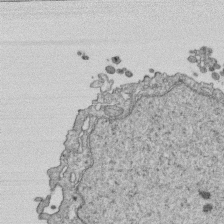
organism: Human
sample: HeLa cell HIV synapse